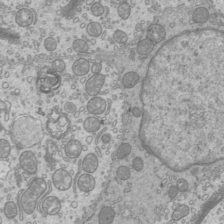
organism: Mouse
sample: Cilia; mouse epididymis